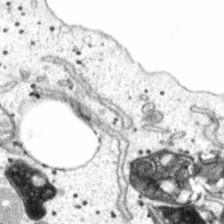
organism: Human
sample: HeLa cells